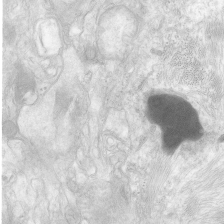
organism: Human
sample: Neocortex